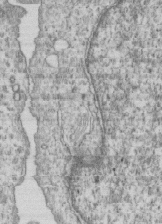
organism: Human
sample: MDA-MB-231 cells